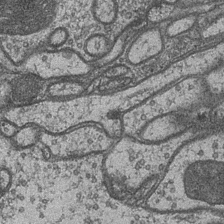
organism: Drosophila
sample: Optic medulla